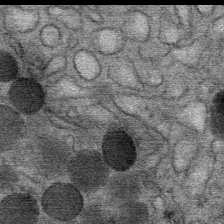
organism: Mouse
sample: Mouse Salivary gland